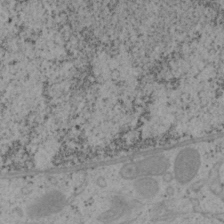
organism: Human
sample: HeLa cells